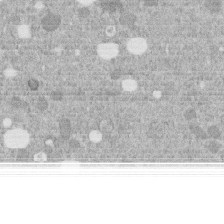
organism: C. elegans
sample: C. elegans embryo early stage